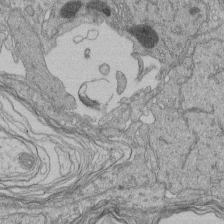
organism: Human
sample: Retinal organoid Rod and Cone cells